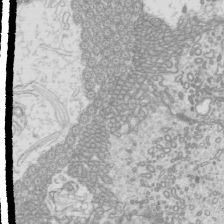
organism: Mouse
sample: Cilia; mouse epididymis